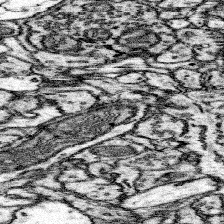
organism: Mouse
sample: Somatosensory cortex neuropil